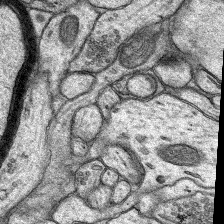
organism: Rat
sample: Hippocampus